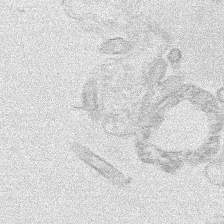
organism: Human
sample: Mitochondria in HCT116 cells